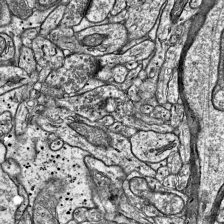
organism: Mouse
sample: Visual Cortex